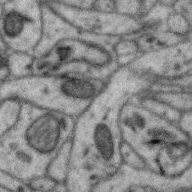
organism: Zebra finch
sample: Brain